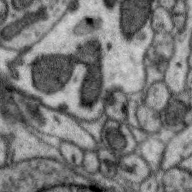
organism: Zebra finch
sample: Brain